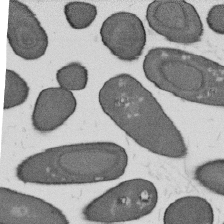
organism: B. subtilis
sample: Bacterial spore